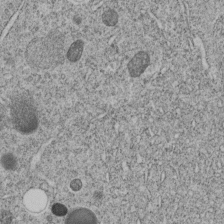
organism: C. elegans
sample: C. elegans embryo early stage